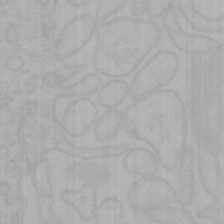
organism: Mouse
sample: Choroid plexus